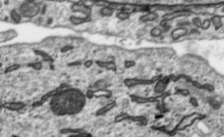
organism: Toxoplasma gondii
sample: Parasites in a vacuole inside a host cell